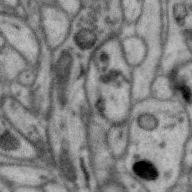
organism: Zebra finch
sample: Brain